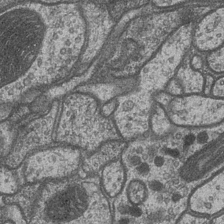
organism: Drosophila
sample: Optic medulla